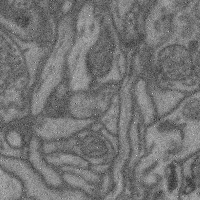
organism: Mouse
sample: Cerebral cortex